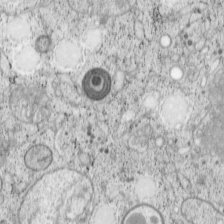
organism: African green monkey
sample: COS-7 cells